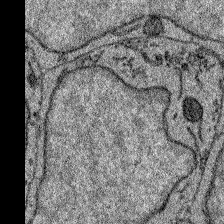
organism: Zebrafish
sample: Larval olfactory bulb